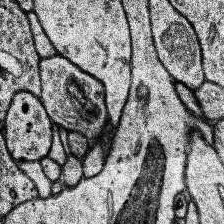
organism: Human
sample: Temporal Lobe